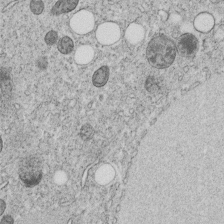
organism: C. elegans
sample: C. elegans embryo early stage